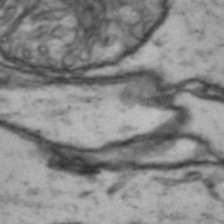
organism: Drosophila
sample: Brain